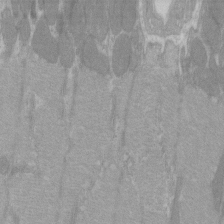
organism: C57BL Mouse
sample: Tibialis anterior muscle cell